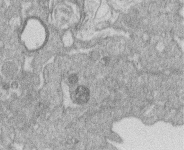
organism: Human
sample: Macrophage cells